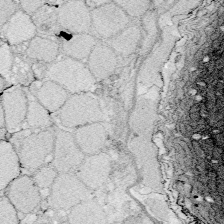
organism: Zebrafish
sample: Whole-Brain